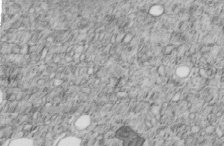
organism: C. elegans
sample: C. elegans embryo early stage